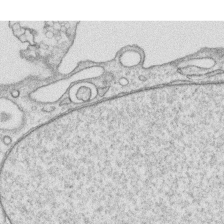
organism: Human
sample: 1205lu cells